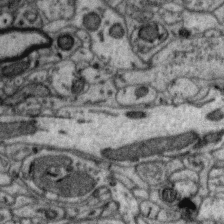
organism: Zebra finch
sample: Brain